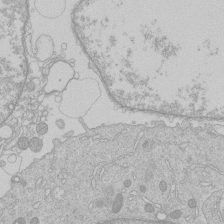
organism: Human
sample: Macrophage cells